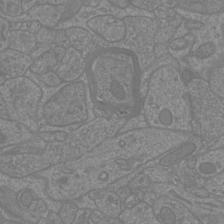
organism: Mouse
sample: Cortical neurons